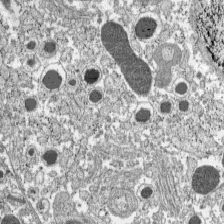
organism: C57BL Mouse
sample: Pancreatic islet